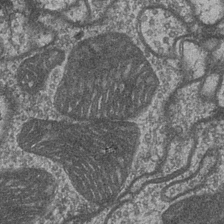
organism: Drosophila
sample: Optic medulla